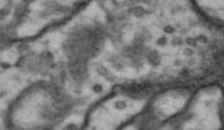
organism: Drosophila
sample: Brain